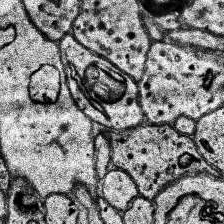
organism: Human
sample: Temporal Lobe